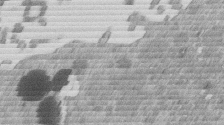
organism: Mouse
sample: Dividing mouse embryo 1 cell stage